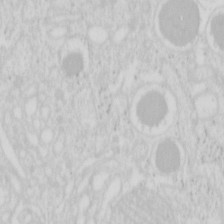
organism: Mouse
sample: Pancreas